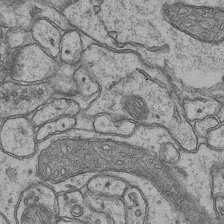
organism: Mouse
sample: CA1 Hippocampus